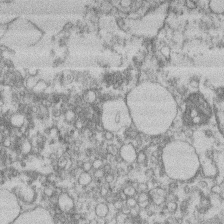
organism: Mouse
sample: T cell stromal cell synapse